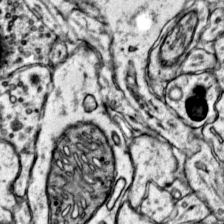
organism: Mouse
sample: Primary visual cortex